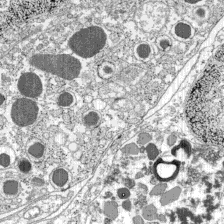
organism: C57BL Mouse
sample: Pancreatic islet